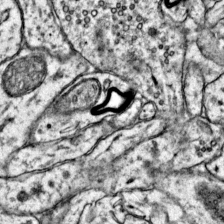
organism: Mouse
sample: Primary visual cortex